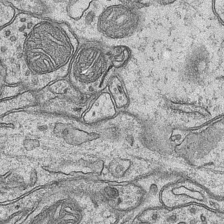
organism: Mouse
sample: CA1 Hippocampus